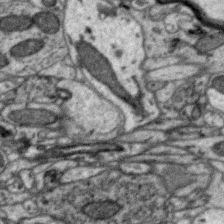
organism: Zebra finch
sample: Brain